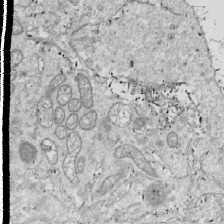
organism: Drosophila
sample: Cell division; meiosis; drosophila spermatocytes